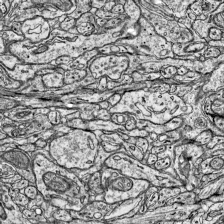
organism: Mouse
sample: Visual Cortex